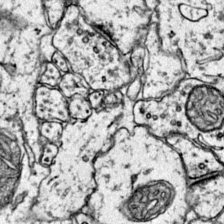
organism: Mouse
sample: Primary visual cortex